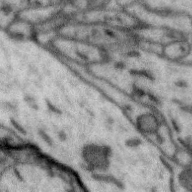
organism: Zebra finch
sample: Brain